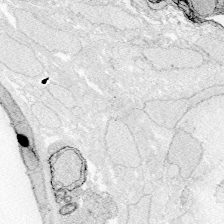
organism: Zebrafish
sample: Whole-Brain